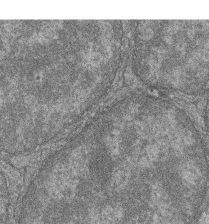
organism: Zebrafish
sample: Cilia; retinal pigment epithelium